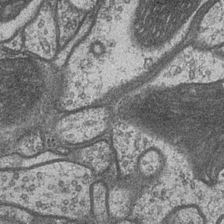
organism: Drosophila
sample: Optic medulla